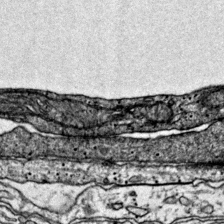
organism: Mouse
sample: Primary visual cortex